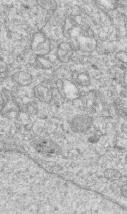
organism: Human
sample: HeLa cell HIV synapse